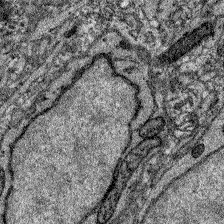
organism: Zebrafish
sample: Larval olfactory bulb